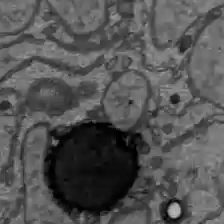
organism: C57BL Mouse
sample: Liver